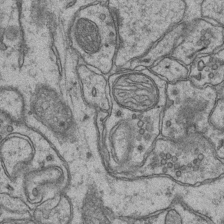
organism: Mouse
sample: CA1 Hippocampus